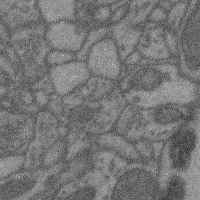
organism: Mouse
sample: Cerebral cortex